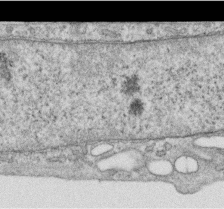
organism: Human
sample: Centriole in RPE cells